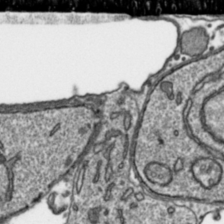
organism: Toxoplasma gondii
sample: Parasites in a vacuole inside a host cell